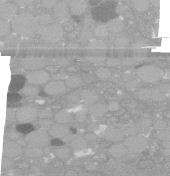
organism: C. elegans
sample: C. elegans oocyte; sperm cells